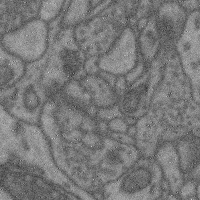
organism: Mouse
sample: Cerebral cortex